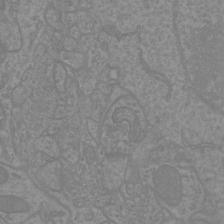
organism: Mouse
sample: Cortical neurons